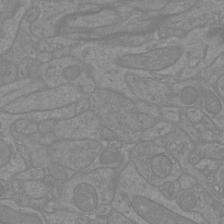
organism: Mouse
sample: Cortical neurons